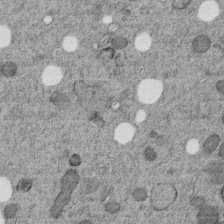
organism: C. elegans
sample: C. elegans embryo early stage